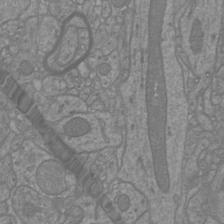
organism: Mouse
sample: Cortical neurons